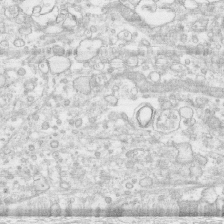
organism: Human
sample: CRL-1474